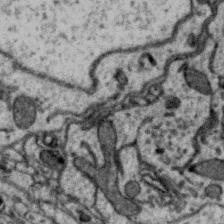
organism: Zebra finch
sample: Brain